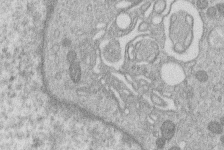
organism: Human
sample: Macrophage cells